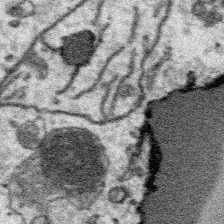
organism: Platynereis dumerilii